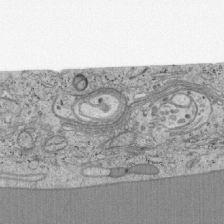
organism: Human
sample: HeLa cells